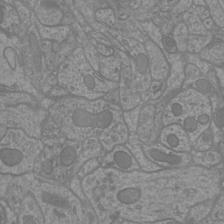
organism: Mouse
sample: Cortical neurons